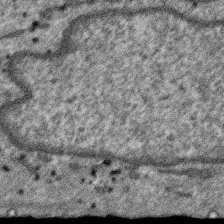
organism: Human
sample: Lung epithelial cells infected with SARS-CoV-2